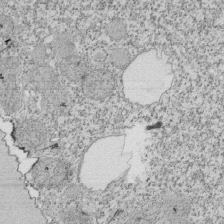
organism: Tetrahymena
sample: Cilia in tetrahymena